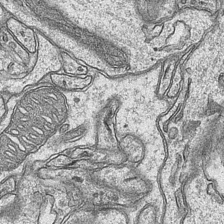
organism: Mouse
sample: CA1 Hippocampus